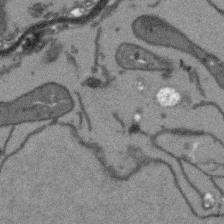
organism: Arabidopsis thaliana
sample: Root tip